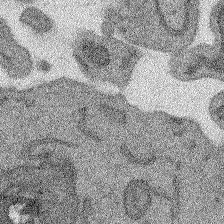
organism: Human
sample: HeLa cells